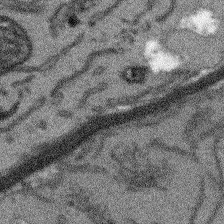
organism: Arabidopsis thaliana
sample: Root tip